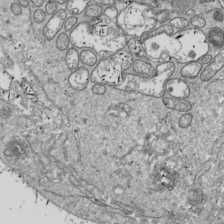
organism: Drosophila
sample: Cell division; meiosis; drosophila spermatocytes